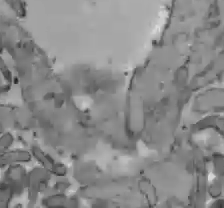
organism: C57BL Mouse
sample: Liver